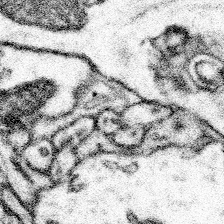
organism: Mouse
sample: Somatosensory cortex neuropil